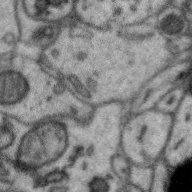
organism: Zebra finch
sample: Brain